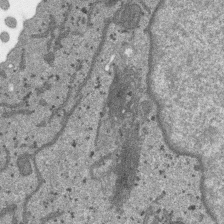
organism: Human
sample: Lung epithelial cells infected with SARS-CoV-2